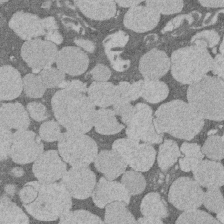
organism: Rat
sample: Salivary granule